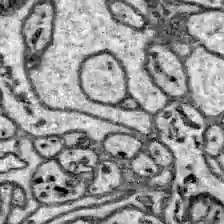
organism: Zebrafish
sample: Brain